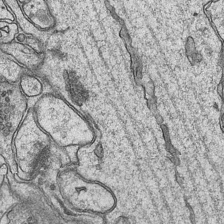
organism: Mouse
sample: CA1 Hippocampus